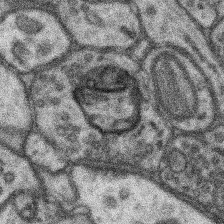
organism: Mouse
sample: Somatosensory cortex neuropil